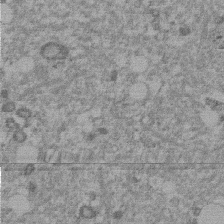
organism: Mouse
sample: Dividing mouse embryo 1 cell stage